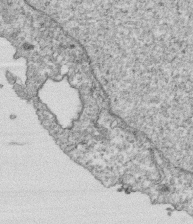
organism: Human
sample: HeLa cell HIV synapse